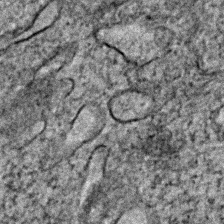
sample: Trachea